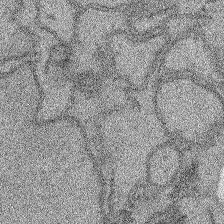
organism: Human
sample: HeLa cells